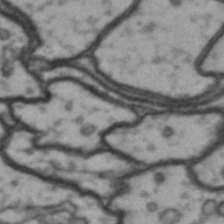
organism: Drosophila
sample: Brain